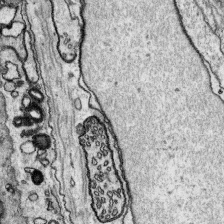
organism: Platynereis dumerilii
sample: Parapodia